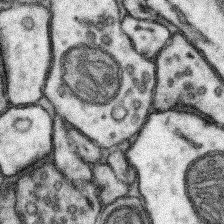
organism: Mouse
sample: Somatosensory cortex neuropil